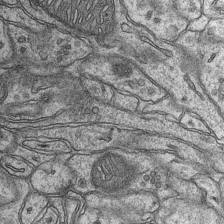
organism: Mouse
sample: CA1 Hippocampus